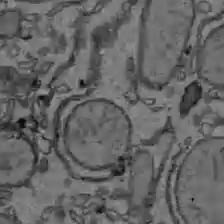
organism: C57BL Mouse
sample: Liver